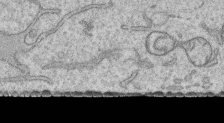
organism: Human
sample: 1205lu cells